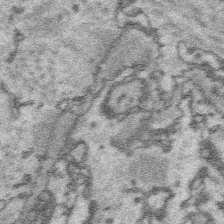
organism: Platynereis dumerilii